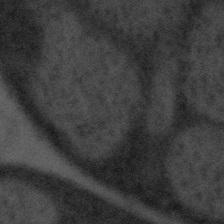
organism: Tuwongella immobilis